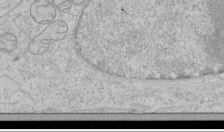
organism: Human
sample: Mitochondria in HCT116 cells